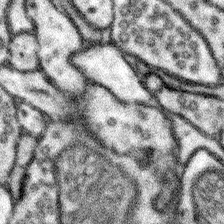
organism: Mouse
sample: Somatosensory cortex neuropil